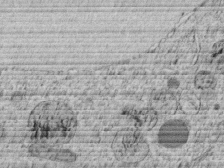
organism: C. elegans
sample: C. elegans embryo early stage